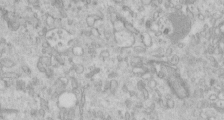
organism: Human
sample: Centriole in RPE cells